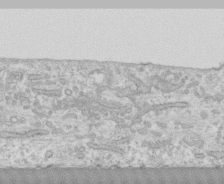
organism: Human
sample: CRL-1474